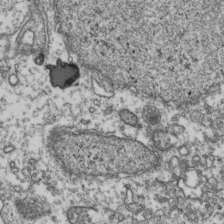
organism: Human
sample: Activated Jurkat CD4+ T cells